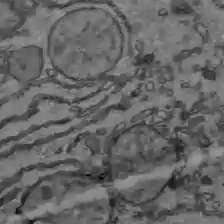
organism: C57BL Mouse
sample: Liver